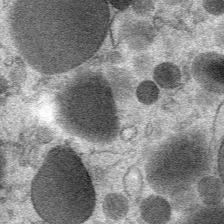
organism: Mouse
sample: Mouse Salivary gland